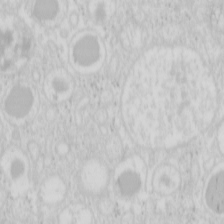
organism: Mouse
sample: Pancreas